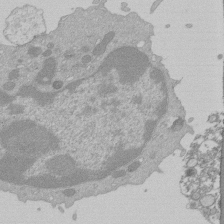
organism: Mouse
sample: Activated Pmel transgenic CD8+ T Cells